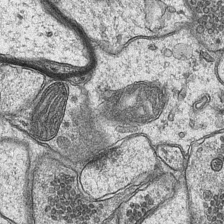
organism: Mouse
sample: CA1 Hippocampus